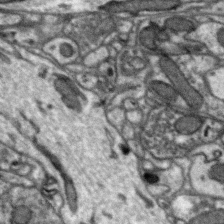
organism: Zebra finch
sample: Brain